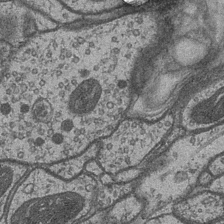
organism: Drosophila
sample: Optic medulla